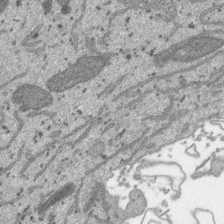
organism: Human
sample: Lung epithelial cells infected with SARS-CoV-2